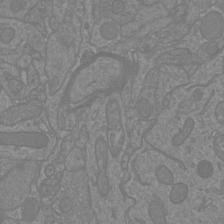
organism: Mouse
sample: Cortical neurons